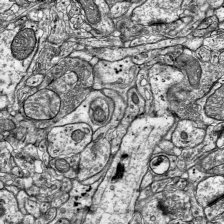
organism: Mouse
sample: Visual Cortex